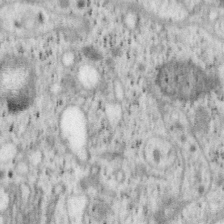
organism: Mouse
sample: OT-I killer T cells with ID8 ovarian cancer cells